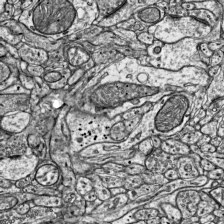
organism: Mouse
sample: Visual Cortex